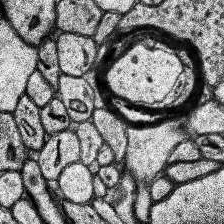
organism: Human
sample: Temporal Lobe